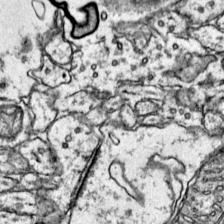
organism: Mouse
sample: Primary visual cortex